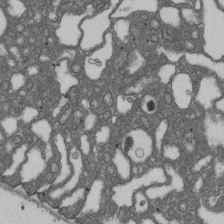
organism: Drosophila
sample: Nephrocyte